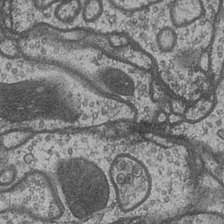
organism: Drosophila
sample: Optic medulla